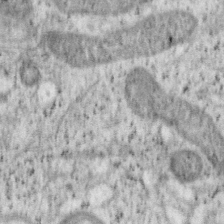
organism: Mouse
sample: OT-I killer T cells with ID8 ovarian cancer cells